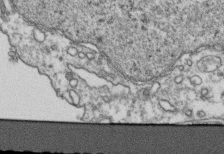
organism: Human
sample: Activated Jurkat CD4+ T cells